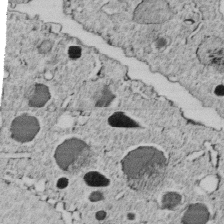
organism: C. elegans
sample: C. elegans embryo early stage